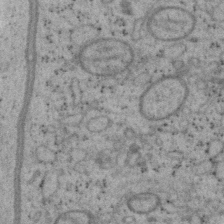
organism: Human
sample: HeLa cells